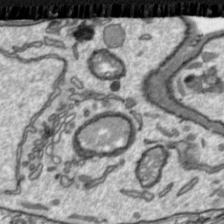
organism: Toxoplasma gondii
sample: Parasites in a vacuole inside a host cell